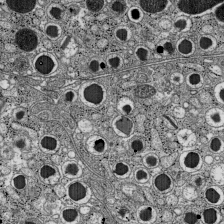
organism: C57BL Mouse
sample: Pancreatic islet